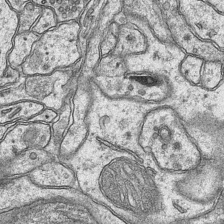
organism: Mouse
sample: CA1 Hippocampus